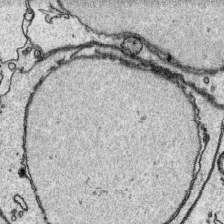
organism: Platynereis dumerilii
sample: Parapodia